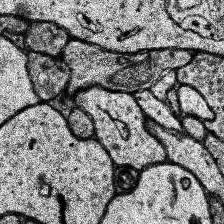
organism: Human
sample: Temporal Lobe